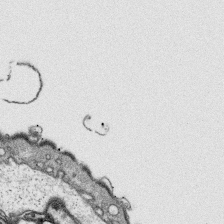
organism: Platynereis dumerilii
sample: Parapodia